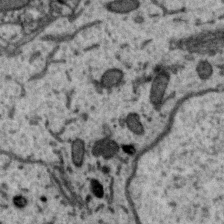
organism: Zebra finch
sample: Brain